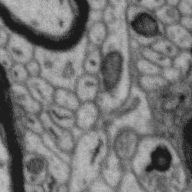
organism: Zebra finch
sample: Brain